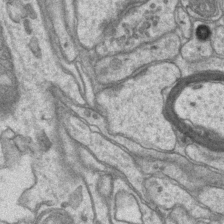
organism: Mouse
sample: CA1 Hippocampus